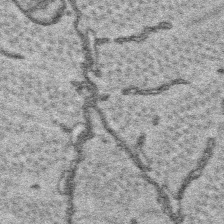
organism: Platynereis dumerilii